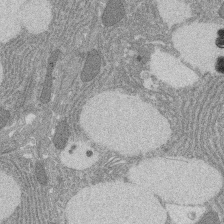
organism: Rat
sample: Salivary granule